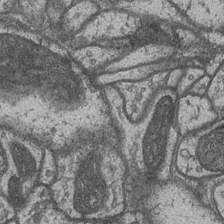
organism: Drosophila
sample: Optic medulla